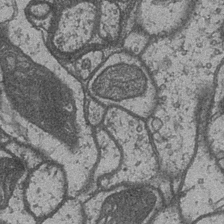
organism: Drosophila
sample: Optic medulla